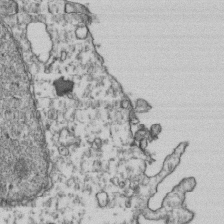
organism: Human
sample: Activated Jurkat CD4+ T cells